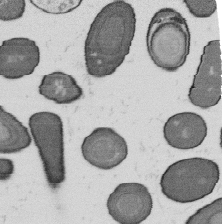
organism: B. subtilis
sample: Bacterial spore